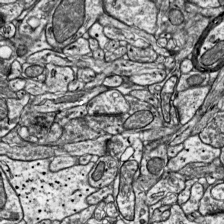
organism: Mouse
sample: Visual Cortex